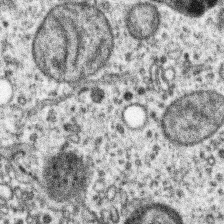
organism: Human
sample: HeLa cells